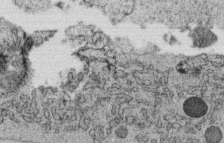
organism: C. elegans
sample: C. elegans oocyte; sperm cells